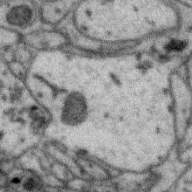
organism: Zebra finch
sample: Brain